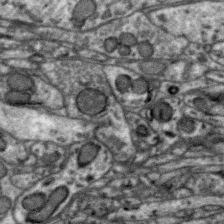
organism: Zebra finch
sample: Brain